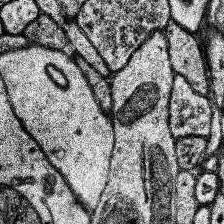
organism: Human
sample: Temporal Lobe